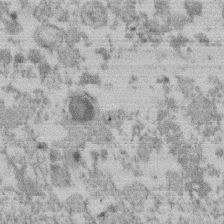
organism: Mouse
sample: Dividing mouse embryo 1 cell stage